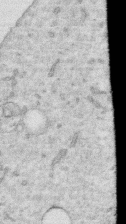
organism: Human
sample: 1205lu cells